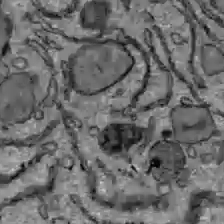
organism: C57BL Mouse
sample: Liver